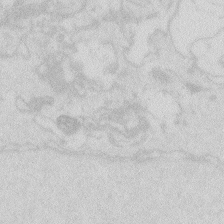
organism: Zebrafish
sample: Macrophage